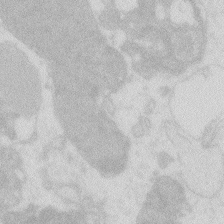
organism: Zebrafish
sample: Macrophage